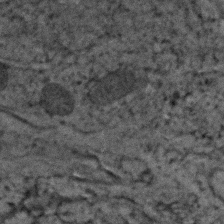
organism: Zebrafish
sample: Zebrafish embryo